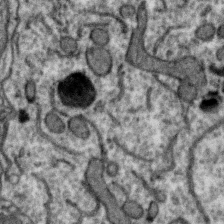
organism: Zebra finch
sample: Brain